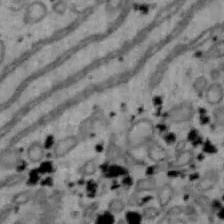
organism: Mouse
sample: Liver